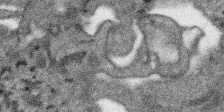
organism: Human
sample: Lung epithelial cells infected with SARS-CoV-2